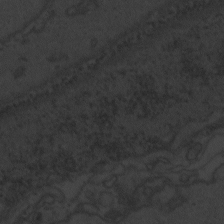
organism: Zebrafish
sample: Macrophage infected with Toxoplasma gondii